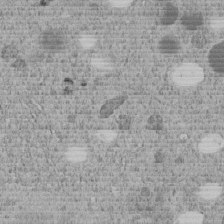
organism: C. elegans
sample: C. elegans embryo early stage